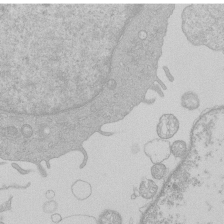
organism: Human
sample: Macrophage cells